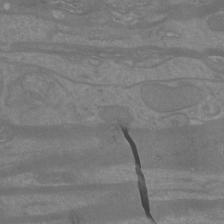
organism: Mouse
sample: Cortical neurons